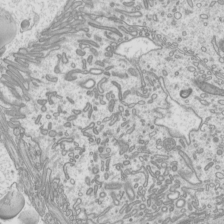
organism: Mouse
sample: Cilia; mouse epididymis